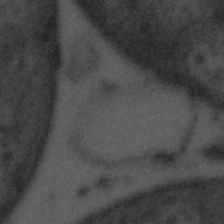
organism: Tuwongella immobilis